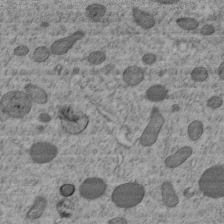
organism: C. elegans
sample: C. elegans embryo early stage